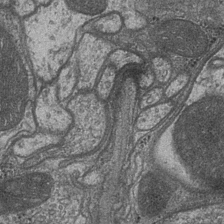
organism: Drosophila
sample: Optic medulla